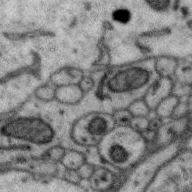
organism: Zebra finch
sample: Brain